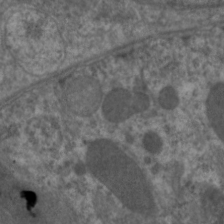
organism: C. elegans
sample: Pharynx